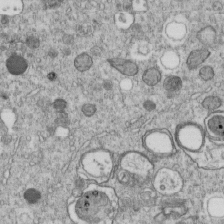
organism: C. elegans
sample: C. elegans embryo early stage